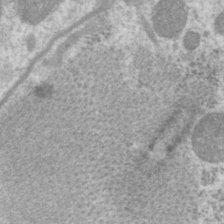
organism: P. pacificus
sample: Pharynx